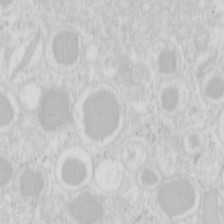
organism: Mouse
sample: Pancreas